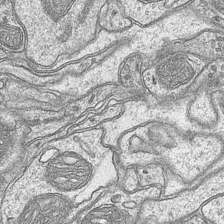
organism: Mouse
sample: CA1 Hippocampus